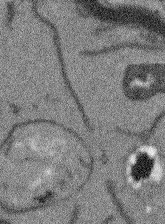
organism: Arabidopsis thaliana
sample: Root tip